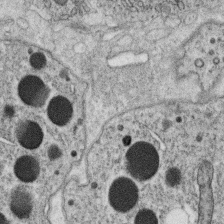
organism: C. elegans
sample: C. elegans oocyte; sperm cells